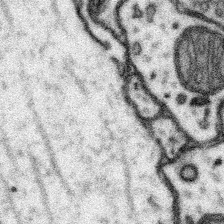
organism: Mouse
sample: Somatosensory cortex neuropil